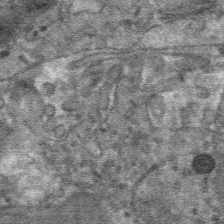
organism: Mouse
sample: Mouse hepatocytes